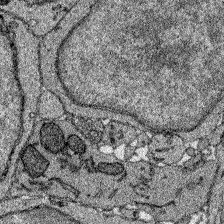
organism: Zebrafish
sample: Larval olfactory bulb